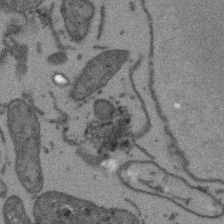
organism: Arabidopsis thaliana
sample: Root tip